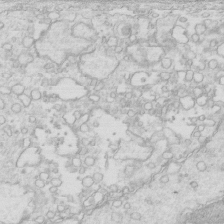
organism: Mouse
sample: Multiciliated cells